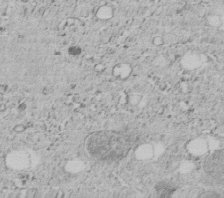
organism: C. elegans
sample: C. elegans embryo early stage